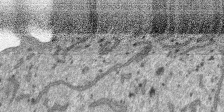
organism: Human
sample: Lung epithelial cells infected with SARS-CoV-2